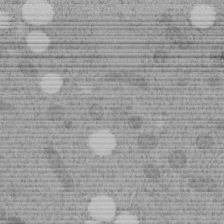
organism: C. elegans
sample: C. elegans embryo early stage